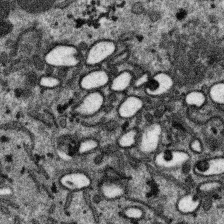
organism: Human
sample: Lung epithelial cells infected with SARS-CoV-2